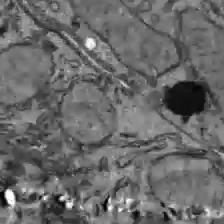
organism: C57BL Mouse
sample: Liver